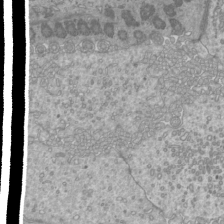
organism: Mouse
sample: Cilia; mouse epididymis